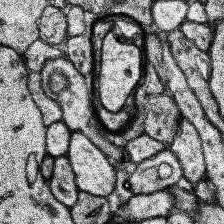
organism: Human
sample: Temporal Lobe